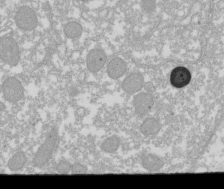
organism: Xenopus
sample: Cilia; centrioles in frog embryo cells